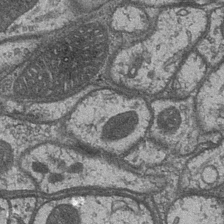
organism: Drosophila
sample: Optic medulla